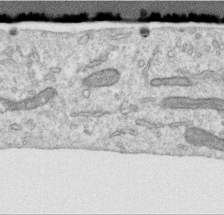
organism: Human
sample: Centriole in RPE cells